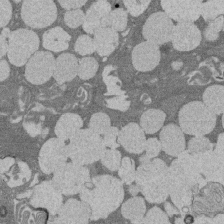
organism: Rat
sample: Salivary granule